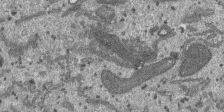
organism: Human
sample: Lung epithelial cells infected with SARS-CoV-2